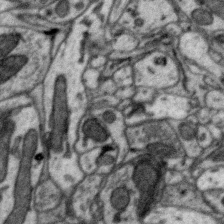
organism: Zebra finch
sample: Brain